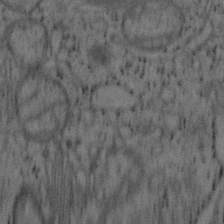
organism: Human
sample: HeLa cells